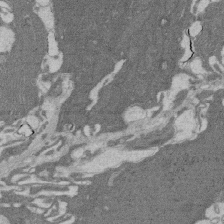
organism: Rat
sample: Salivary granule